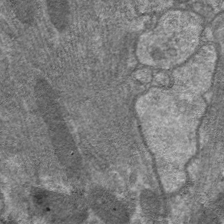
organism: C. elegans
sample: Pharynx